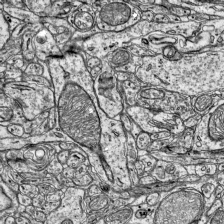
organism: Mouse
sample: Visual Cortex